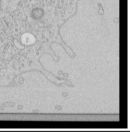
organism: Human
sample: Mitochondria in HCT116 cells